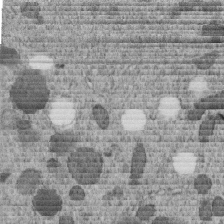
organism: C. elegans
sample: C. elegans embryo early stage